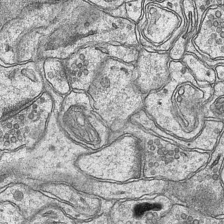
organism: Mouse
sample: CA1 Hippocampus